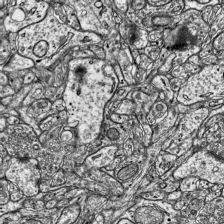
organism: Mouse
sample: Visual Cortex